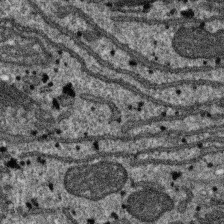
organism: Human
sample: Lung epithelial cells infected with SARS-CoV-2